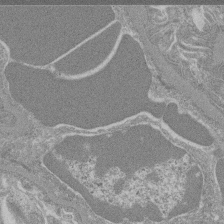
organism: Mouse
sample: Glomerulus